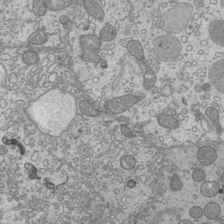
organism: Mouse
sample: Cilia; mouse epididymis